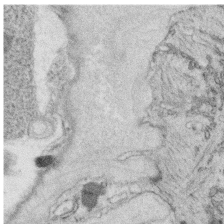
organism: C. elegans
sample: C. elegans oocyte; sperm cells